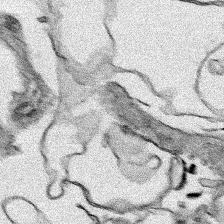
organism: Human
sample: Mitochondria in HCT116 cells